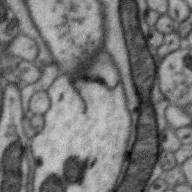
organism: Zebra finch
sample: Brain